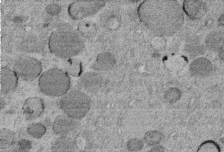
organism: C. elegans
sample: C. elegans embryo early stage